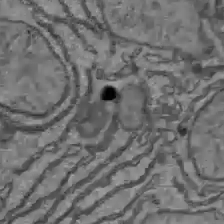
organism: C57BL Mouse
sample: Liver